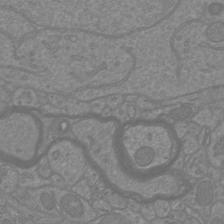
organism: Mouse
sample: Cortical neurons